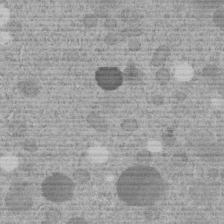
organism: C. elegans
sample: C. elegans embryo early stage